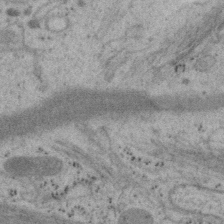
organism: Human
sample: HeLa cells